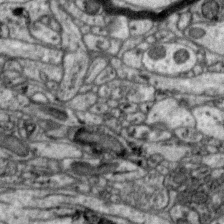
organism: Zebra finch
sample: Brain